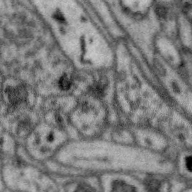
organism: Zebra finch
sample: Brain